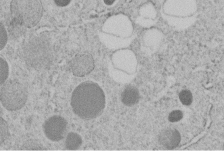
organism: C. elegans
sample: C. elegans embryo early stage